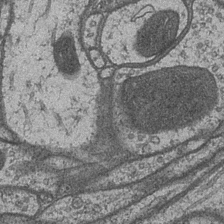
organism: Drosophila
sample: Optic medulla